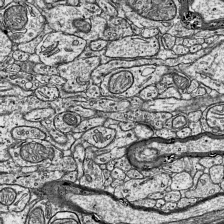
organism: Mouse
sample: Visual Cortex